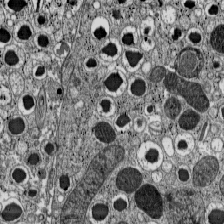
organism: C57BL Mouse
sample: Pancreatic islet